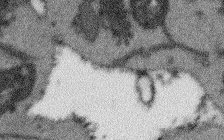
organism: Arabidopsis thaliana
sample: Root tip